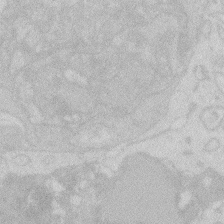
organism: Zebrafish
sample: Macrophage